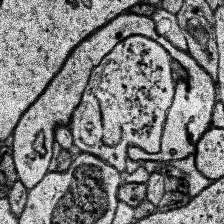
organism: Human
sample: Temporal Lobe